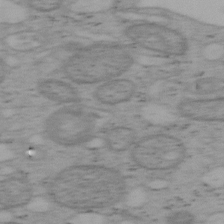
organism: Mouse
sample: OT-I killer T cells with ID8 ovarian cancer cells